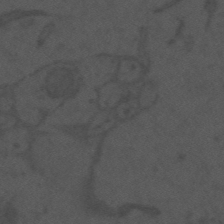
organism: Mouse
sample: Suprachiasmatic nucleus